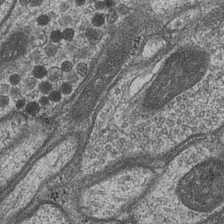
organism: Drosophila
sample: Optic medulla